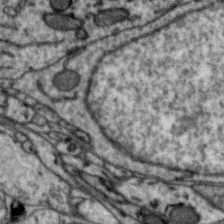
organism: Zebra finch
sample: Brain